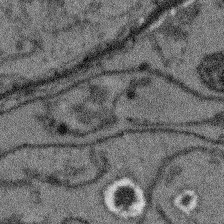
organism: Arabidopsis thaliana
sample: Root tip